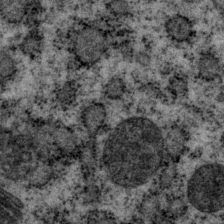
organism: P. pacificus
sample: Pharynx